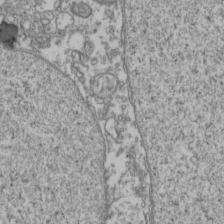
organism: Human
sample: Activated Jurkat CD4+ T cells